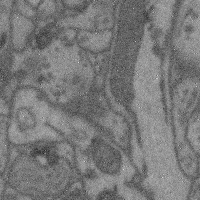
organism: Mouse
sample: Cerebral cortex